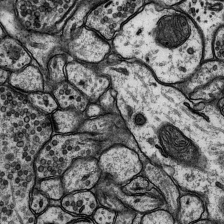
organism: Rat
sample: Hippocampus